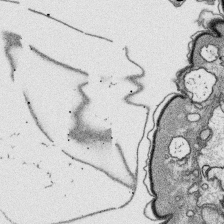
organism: Platynereis dumerilii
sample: Parapodia